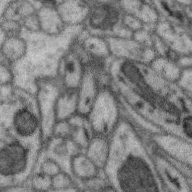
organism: Zebra finch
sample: Brain